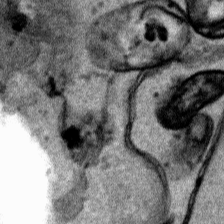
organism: Human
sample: Mitochondria in HCT116 cells